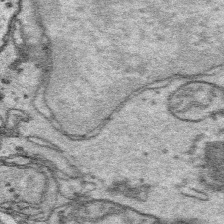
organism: Platynereis dumerilii